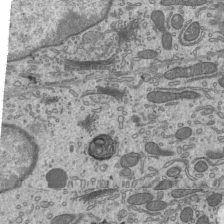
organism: Mouse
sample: Mouse epididymis efferent ductule cilia